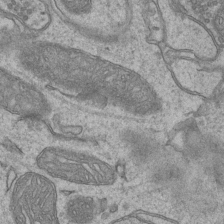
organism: Mouse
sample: CA1 Hippocampus